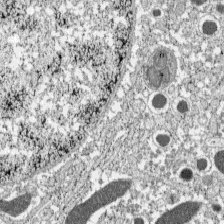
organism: C57BL Mouse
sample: Pancreatic islet